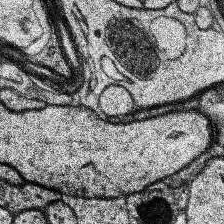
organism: Human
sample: Temporal Lobe